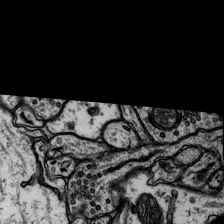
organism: Rat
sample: Hippocampus